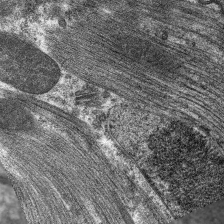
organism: C. elegans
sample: Pharynx